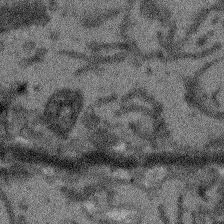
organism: Arabidopsis thaliana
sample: Root tip